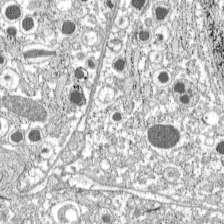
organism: C57BL Mouse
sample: Pancreatic islet